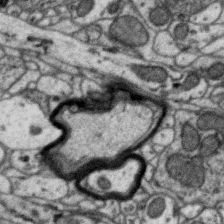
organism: Zebra finch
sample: Brain